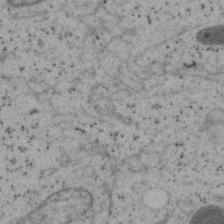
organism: Human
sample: HeLa cells